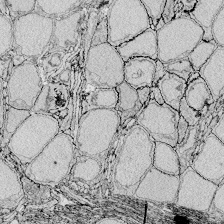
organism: Zebrafish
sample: Whole-Brain